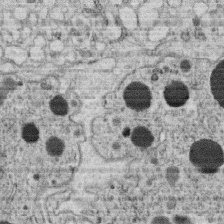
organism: C. elegans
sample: C. elegans oocyte; sperm cells